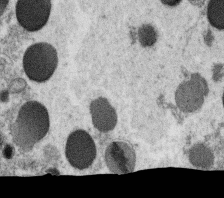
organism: C. elegans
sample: C. elegans oocyte; sperm cells